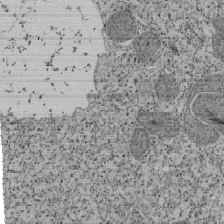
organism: Tetrahymena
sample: Cilia in tetrahymena